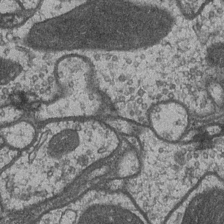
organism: Drosophila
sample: Optic medulla